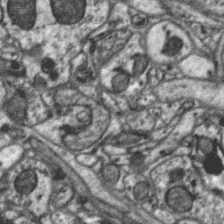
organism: Zebra finch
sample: Brain